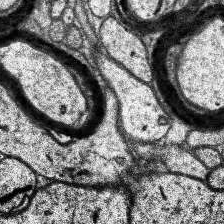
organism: Human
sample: Temporal Lobe